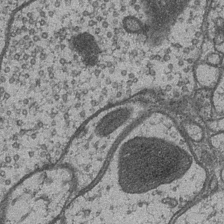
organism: Drosophila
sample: Optic medulla